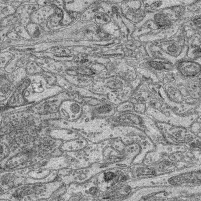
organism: Mouse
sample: Retina